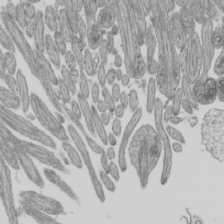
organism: Mouse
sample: Cilia; mouse epididymis